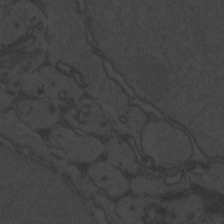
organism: Zebrafish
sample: Macrophage infected with Toxoplasma gondii